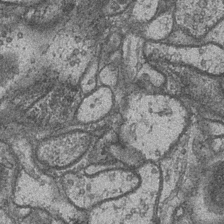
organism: Drosophila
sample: Optic medulla